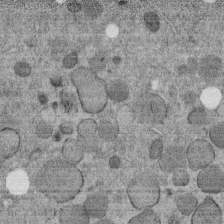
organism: C. elegans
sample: C. elegans embryo early stage